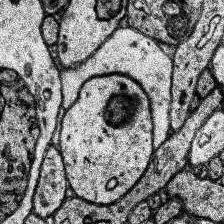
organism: Human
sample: Temporal Lobe